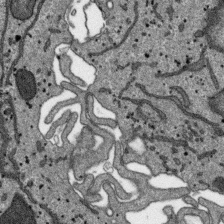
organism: Human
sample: Lung epithelial cells, uninfected (mock) control